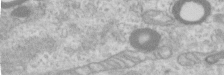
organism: Human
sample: Centriole in RPE cells